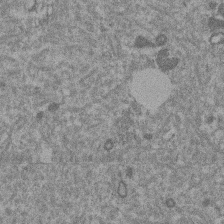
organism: Mouse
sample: Dividing mouse embryo 1 cell stage